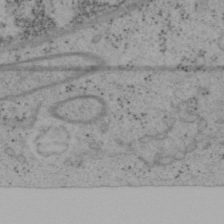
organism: Human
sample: HeLa cells